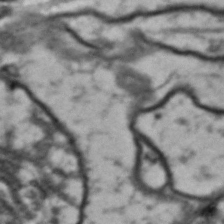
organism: Drosophila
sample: Brain